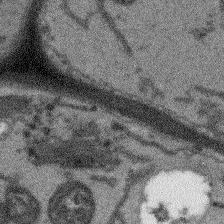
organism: Arabidopsis thaliana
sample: Root tip